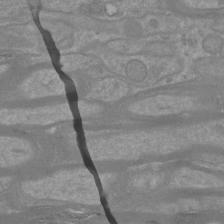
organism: Mouse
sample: Cortical neurons